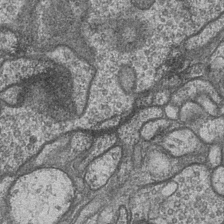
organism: Drosophila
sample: Optic medulla